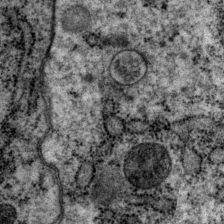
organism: P. pacificus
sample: Pharynx